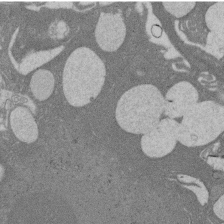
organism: Rat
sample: Salivary granule